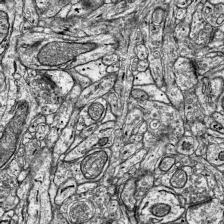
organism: Mouse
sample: Visual Cortex